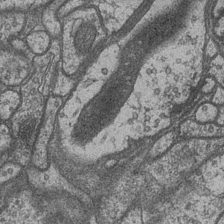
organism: Drosophila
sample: Optic medulla